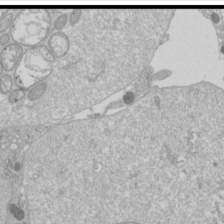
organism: Drosophila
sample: Cell division; meiosis; drosophila spermatocytes